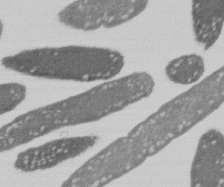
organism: E. coli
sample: Bacterial nucleoid